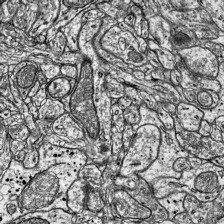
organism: Mouse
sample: Visual Cortex